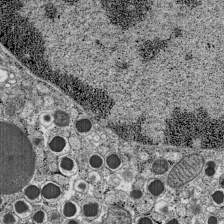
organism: C57BL Mouse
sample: Pancreatic islet